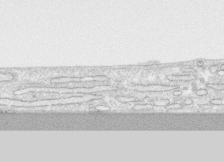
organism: Human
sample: CRL-1474